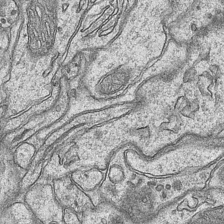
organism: Mouse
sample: CA1 Hippocampus